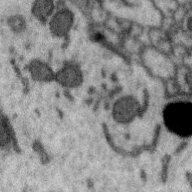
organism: Zebra finch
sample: Brain